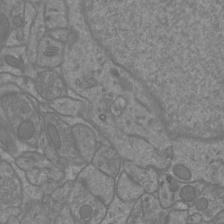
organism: Mouse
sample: Cortical neurons